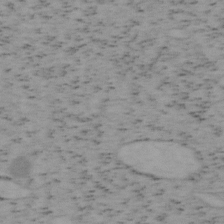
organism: Mouse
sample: OT-I killer T cells with ID8 ovarian cancer cells